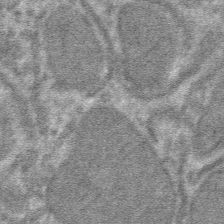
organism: Mouse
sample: Mouse hepatocytes